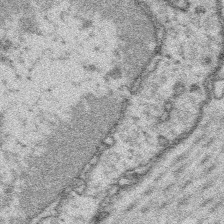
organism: Platynereis dumerilii